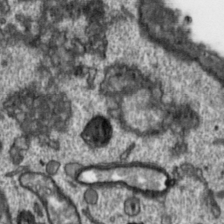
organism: Toxoplasma gondii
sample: Parasites in a vacuole inside a host cell